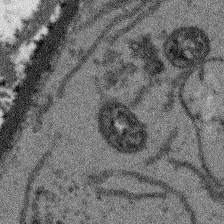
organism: Arabidopsis thaliana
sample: Root tip